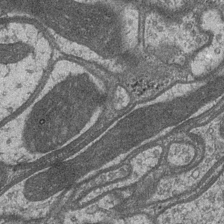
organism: Drosophila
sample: Optic medulla